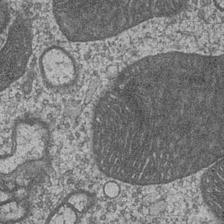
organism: Drosophila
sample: Optic medulla